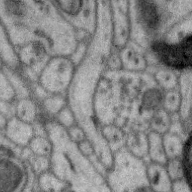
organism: Zebra finch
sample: Brain